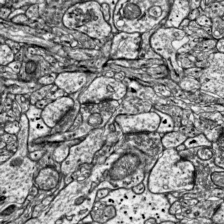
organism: Mouse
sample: Visual Cortex